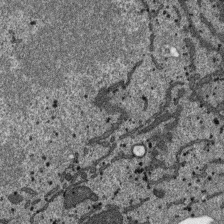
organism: Human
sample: Lung epithelial cells infected with SARS-CoV-2